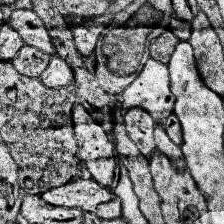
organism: Human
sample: Temporal Lobe